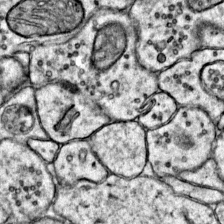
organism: Mouse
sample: Primary visual cortex